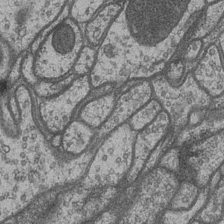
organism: Drosophila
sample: Optic medulla